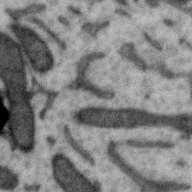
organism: Zebra finch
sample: Brain